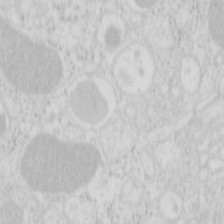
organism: Mouse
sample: Pancreas